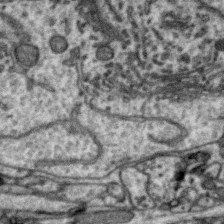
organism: Zebra finch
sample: Brain